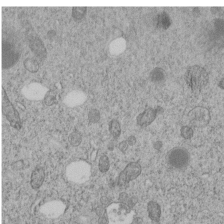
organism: C. elegans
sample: C. elegans embryo early stage